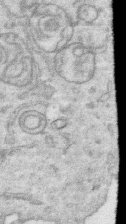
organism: Human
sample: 1205lu cells